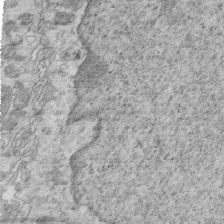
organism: Mouse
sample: Multiciliated cells